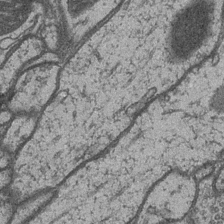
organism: Drosophila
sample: Optic medulla